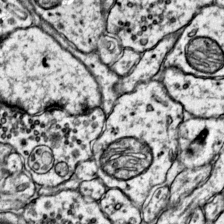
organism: Mouse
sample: Primary visual cortex